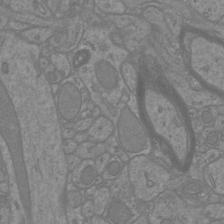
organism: Mouse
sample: Cortical neurons